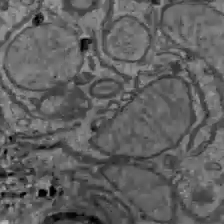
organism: C57BL Mouse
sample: Liver